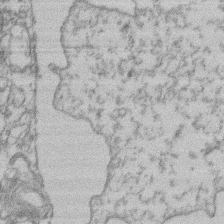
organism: Mouse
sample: T cell stromal cell synapse